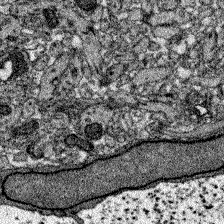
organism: Zebrafish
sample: Larval olfactory bulb